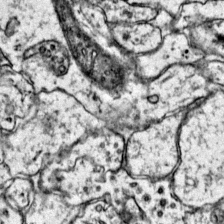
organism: Mouse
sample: Primary visual cortex